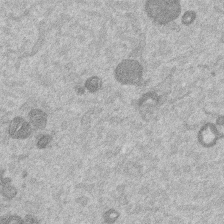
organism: Mouse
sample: Dividing mouse embryo 1 cell stage